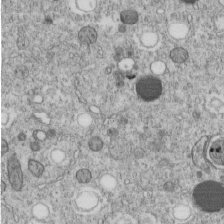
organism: C. elegans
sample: C. elegans embryo early stage